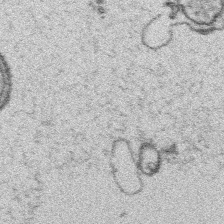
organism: Platynereis dumerilii